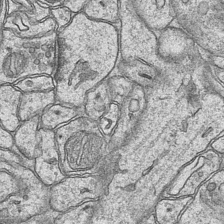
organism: Mouse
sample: CA1 Hippocampus